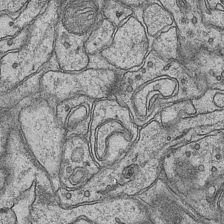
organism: Mouse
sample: CA1 Hippocampus